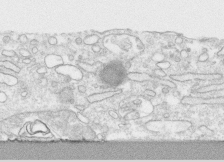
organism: Human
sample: CRL-1474